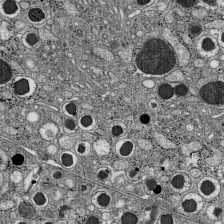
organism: C57BL Mouse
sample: Pancreatic islet